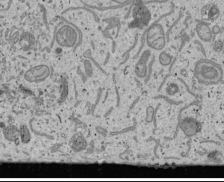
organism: Human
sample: Mitochondria in U2OS cells